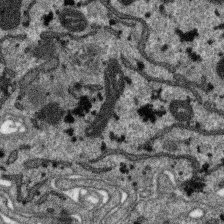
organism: Human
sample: Lung epithelial cells infected with SARS-CoV-2